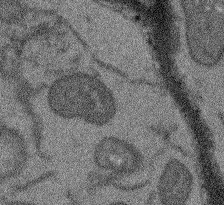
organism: Arabidopsis thaliana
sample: Root tip